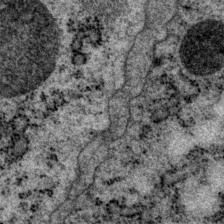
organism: P. pacificus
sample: Pharynx